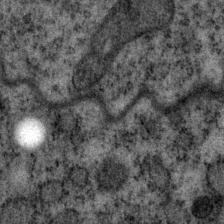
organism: P. pacificus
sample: Pharynx